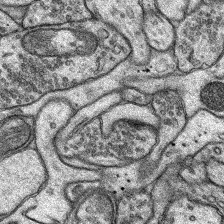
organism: Rat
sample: Hippocampus